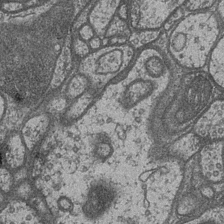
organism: Drosophila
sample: Optic medulla